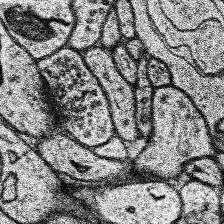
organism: Human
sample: Temporal Lobe